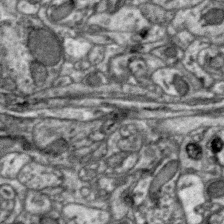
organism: Zebra finch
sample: Brain